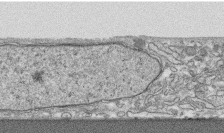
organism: Human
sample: CRL-1474